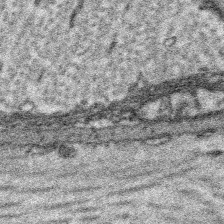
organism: Platynereis dumerilii